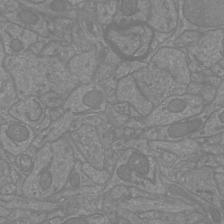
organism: Mouse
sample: Cortical neurons